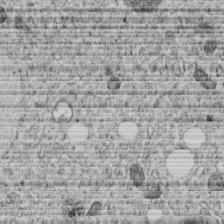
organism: C. elegans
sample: C. elegans embryo early stage